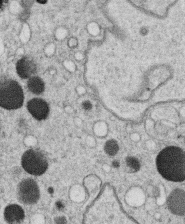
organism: C. elegans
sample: C. elegans oocyte; sperm cells